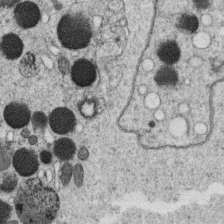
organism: C. elegans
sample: C. elegans oocyte; sperm cells